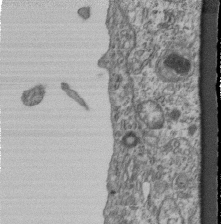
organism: Mouse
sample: Centriole in ependymal cells